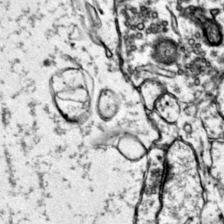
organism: Mouse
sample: Primary visual cortex